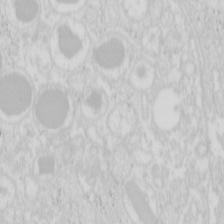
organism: Mouse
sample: Pancreas